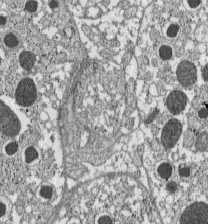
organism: C57BL Mouse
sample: Pancreatic islet